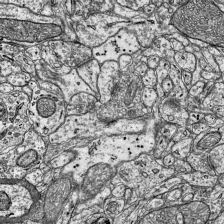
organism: Mouse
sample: Visual Cortex